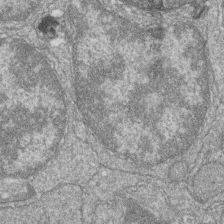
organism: Zebrafish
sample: Cilia; retinal pigment epithelium